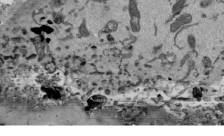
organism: Mouse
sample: ED-1 cell nuclei; centrioles